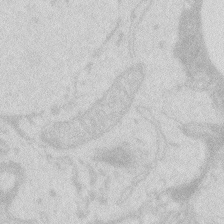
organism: Zebrafish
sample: Macrophage